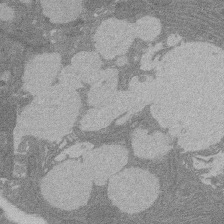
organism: Rat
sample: Salivary granule